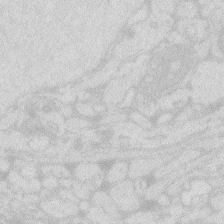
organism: Zebrafish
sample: Macrophage